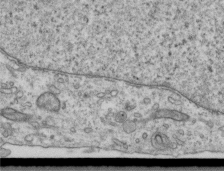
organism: Human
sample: Centriole in RPE cells